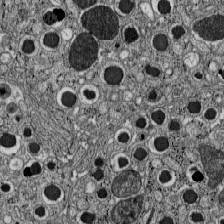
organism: C57BL Mouse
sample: Pancreatic islet